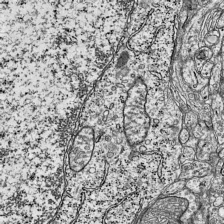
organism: Mouse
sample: Visual Cortex